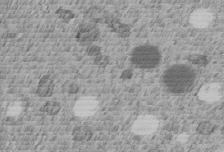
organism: C. elegans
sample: C. elegans embryo early stage